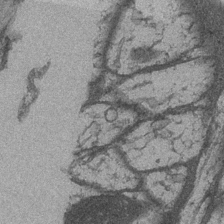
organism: Drosophila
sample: Optic medulla